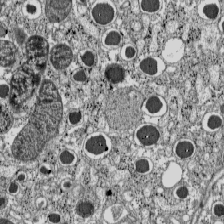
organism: C57BL Mouse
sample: Pancreatic islet